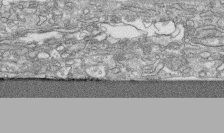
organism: Human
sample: CRL-1474